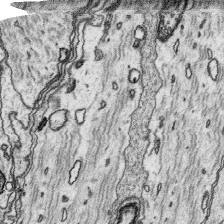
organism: Platynereis dumerilii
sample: Parapodia